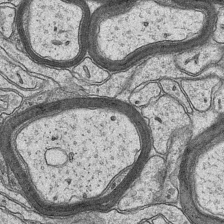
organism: Mouse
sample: CA1 Hippocampus